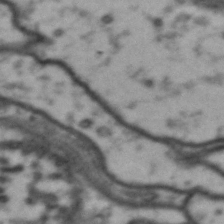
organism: Drosophila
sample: Brain